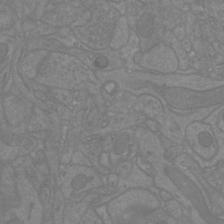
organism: Mouse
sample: Cortical neurons